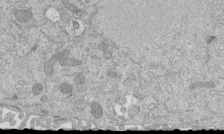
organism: Mouse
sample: ED-1 cell nuclei; centrioles